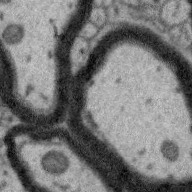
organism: Zebra finch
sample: Brain